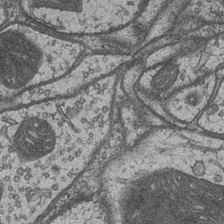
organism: Drosophila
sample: Optic medulla